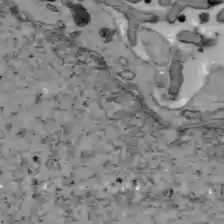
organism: C57BL Mouse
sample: Liver